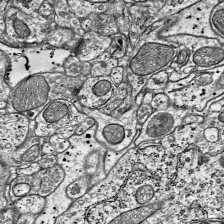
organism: Mouse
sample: Visual Cortex